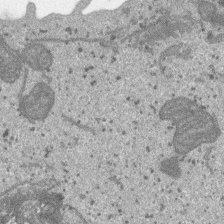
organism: Human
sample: Lung epithelial cells infected with SARS-CoV-2